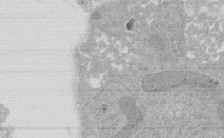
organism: Rat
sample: Salivary granule